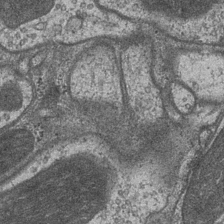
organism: Drosophila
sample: Optic medulla